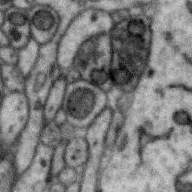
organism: Zebra finch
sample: Brain